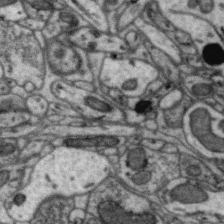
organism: Zebra finch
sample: Brain